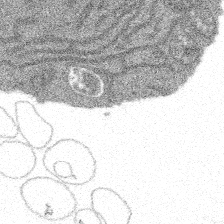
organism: Spongilla lacustris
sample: Multiple